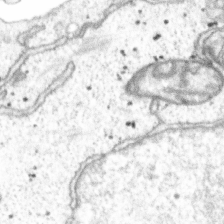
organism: Human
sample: HeLa cells